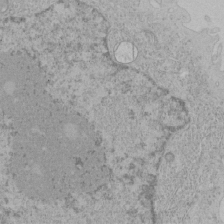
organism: Human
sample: Mitochondria in HCT116 cells